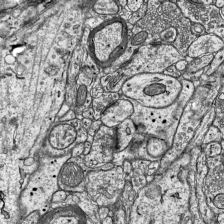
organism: Mouse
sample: Visual Cortex